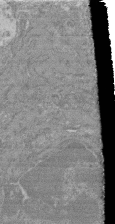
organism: Mouse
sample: Glomerulus